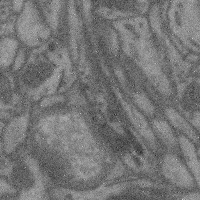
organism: Mouse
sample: Cerebral cortex